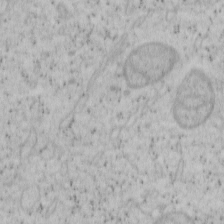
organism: Human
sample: HeLa cells